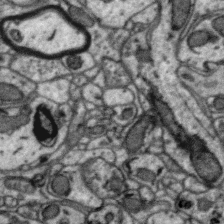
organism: Zebra finch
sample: Brain